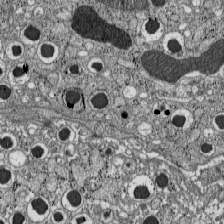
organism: C57BL Mouse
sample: Pancreatic islet